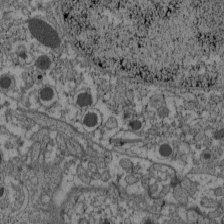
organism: C57BL Mouse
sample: Pancreatic islet